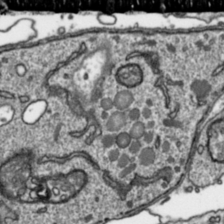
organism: Toxoplasma gondii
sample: Parasites in a vacuole inside a host cell